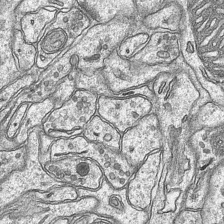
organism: Mouse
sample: CA1 Hippocampus